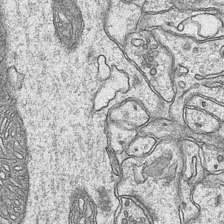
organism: Mouse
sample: CA1 Hippocampus